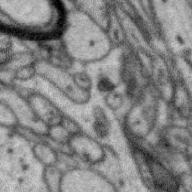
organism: Zebra finch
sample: Brain